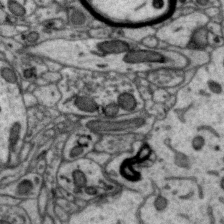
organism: Zebra finch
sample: Brain